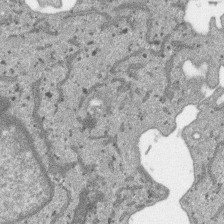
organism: Human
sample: Lung epithelial cells infected with SARS-CoV-2